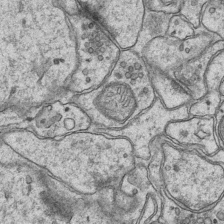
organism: Mouse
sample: CA1 Hippocampus